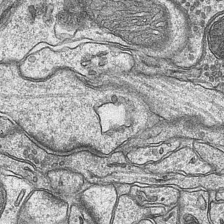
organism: Mouse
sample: CA1 Hippocampus